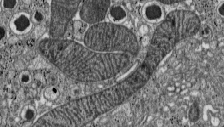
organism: C57BL Mouse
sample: Pancreatic islet